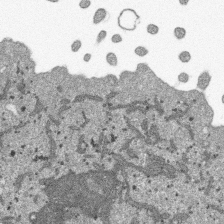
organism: Human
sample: Lung epithelial cells infected with SARS-CoV-2